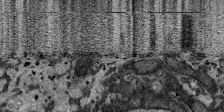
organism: Human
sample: Lung epithelial cells, uninfected (mock) control